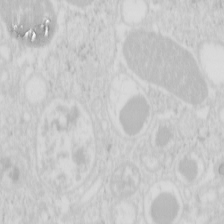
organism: Mouse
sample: Pancreas